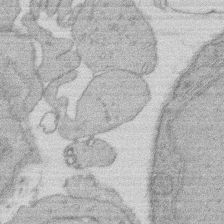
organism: Rat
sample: Salivary granule